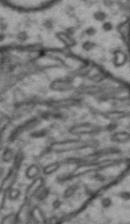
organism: Drosophila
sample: Brain